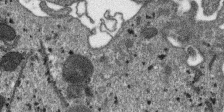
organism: Human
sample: Lung epithelial cells infected with SARS-CoV-2